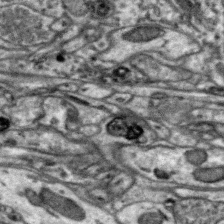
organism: Zebra finch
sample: Brain